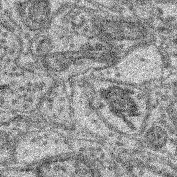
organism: Mouse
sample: Retina